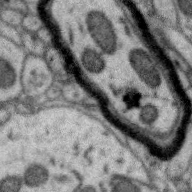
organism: Zebra finch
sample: Brain